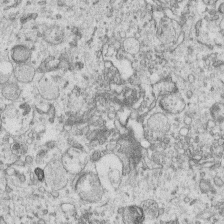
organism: Human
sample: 1205lu cells